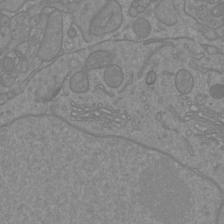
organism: Mouse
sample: Cortical neurons